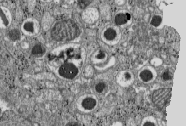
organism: C57BL Mouse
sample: Pancreatic islet